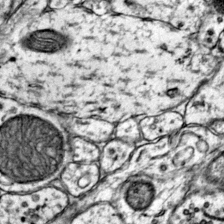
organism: Mouse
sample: Primary visual cortex